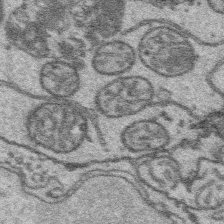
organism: Platynereis dumerilii